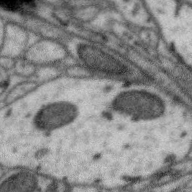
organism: Zebra finch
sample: Brain